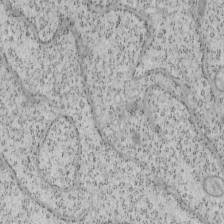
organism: Mouse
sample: OT-I killer T cells with ID8 ovarian cancer cells